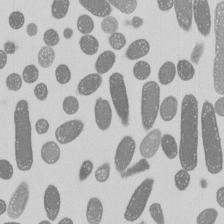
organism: E. coli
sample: Bacterial nucleoid